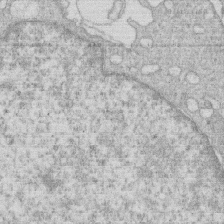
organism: Human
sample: Macrophage cells